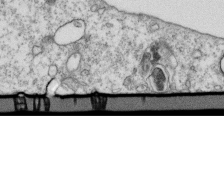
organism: Mouse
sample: Activated OT-1 CD8+ T cells